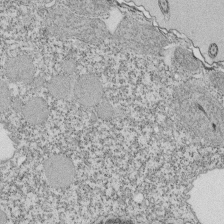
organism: Tetrahymena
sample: Cilia in tetrahymena